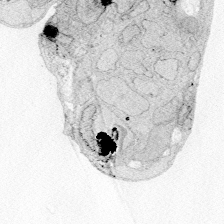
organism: Zebrafish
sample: Whole-Brain